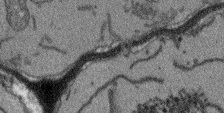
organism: Arabidopsis thaliana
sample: Root tip